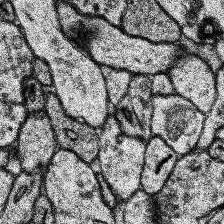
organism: Human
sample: Temporal Lobe